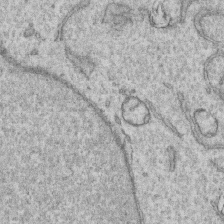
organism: Human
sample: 1205lu cells